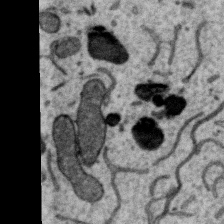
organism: Zebra finch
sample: Brain